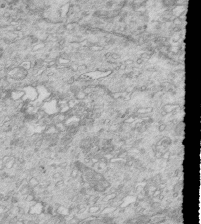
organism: Mouse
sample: Multiciliated cells